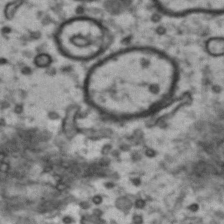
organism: Drosophila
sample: Brain